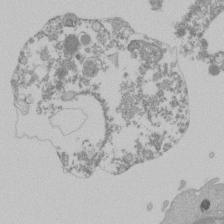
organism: Mouse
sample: Activated Pmel transgenic CD8+ T Cells